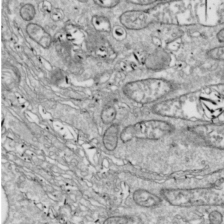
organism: Drosophila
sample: Cell division; meiosis; drosophila spermatocytes